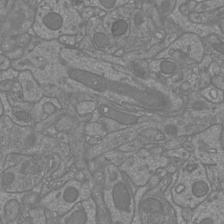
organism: Mouse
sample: Cortical neurons